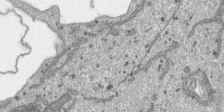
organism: Human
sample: Lung epithelial cells infected with SARS-CoV-2